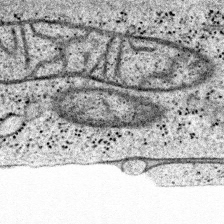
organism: Human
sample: HeLa cells